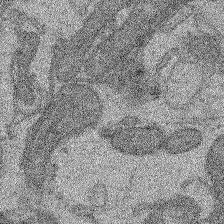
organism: Human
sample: HeLa cells